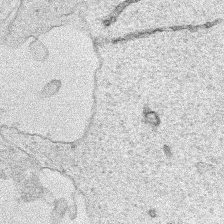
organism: Human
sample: Mitochondria in HCT116 cells